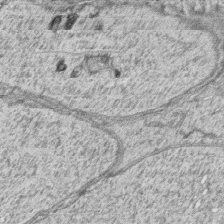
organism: Zebrafish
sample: synaptic ribbons in rod cells and cone cells